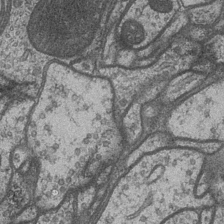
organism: Drosophila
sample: Optic medulla